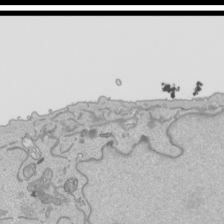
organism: Human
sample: Mitochondria in HCT116 cells